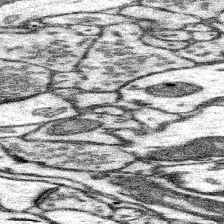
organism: Mouse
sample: Somatosensory cortex neuropil